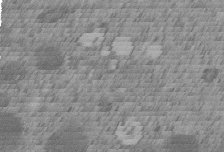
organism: C. elegans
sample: C. elegans embryo early stage